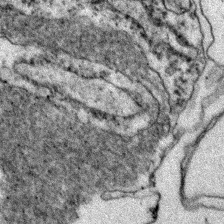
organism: Zebrafish